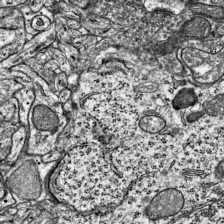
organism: Mouse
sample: Visual Cortex